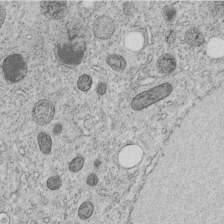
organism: C. elegans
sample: C. elegans embryo early stage